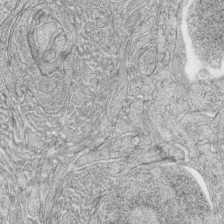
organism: Zebrafish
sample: synaptic ribbons in rod cells and cone cells